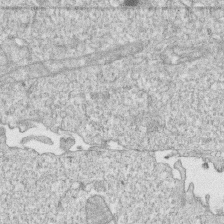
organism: Human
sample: HeLa cell HIV synapse